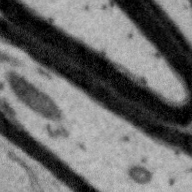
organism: Zebra finch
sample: Brain